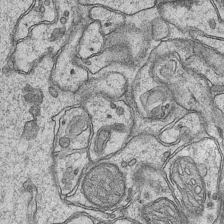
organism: Mouse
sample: CA1 Hippocampus